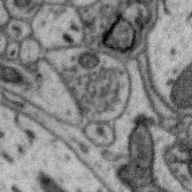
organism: Zebra finch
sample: Brain